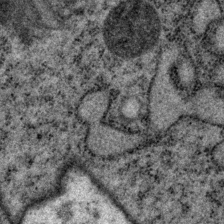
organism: P. pacificus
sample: Pharynx